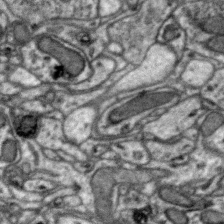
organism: Zebra finch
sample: Brain